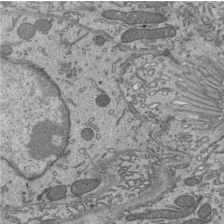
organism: Mouse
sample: Mouse epididymis efferent ductule cilia